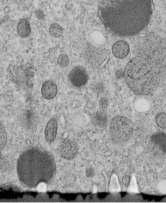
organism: C. elegans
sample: C. elegans embryo early stage